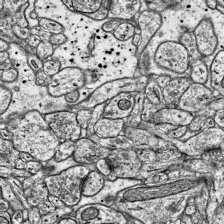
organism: Mouse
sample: Visual Cortex